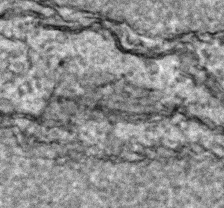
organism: Zebrafish